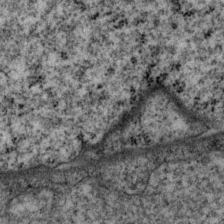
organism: P. pacificus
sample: Pharynx